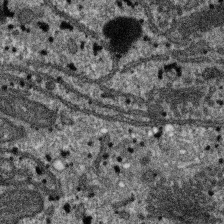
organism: Human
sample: Lung epithelial cells infected with SARS-CoV-2